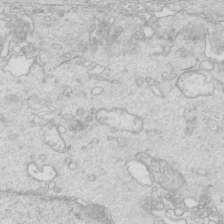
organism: Mouse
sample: Multiciliated cells